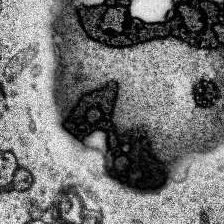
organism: Human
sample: Temporal Lobe